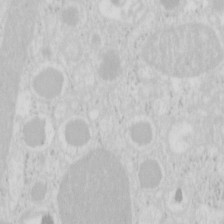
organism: Mouse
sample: Pancreas